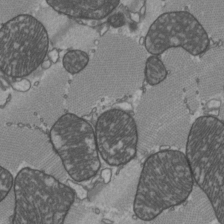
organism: C57BL Mouse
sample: Heart